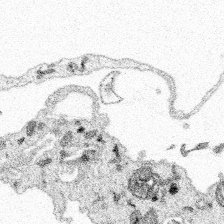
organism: Spongilla lacustris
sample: Multiple